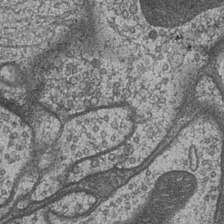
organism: Drosophila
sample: Optic medulla